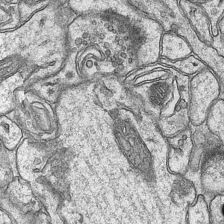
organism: Mouse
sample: CA1 Hippocampus